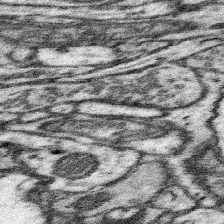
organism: Mouse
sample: Somatosensory cortex neuropil